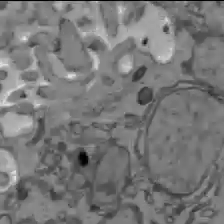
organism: C57BL Mouse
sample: Liver